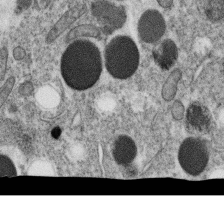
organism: C. elegans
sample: C. elegans oocyte; sperm cells